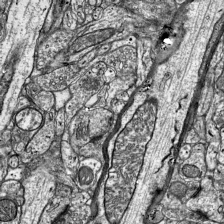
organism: Mouse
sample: Visual Cortex